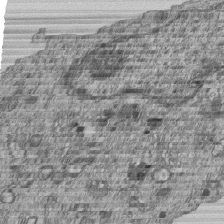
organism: Human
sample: MDA-MB-231 cells